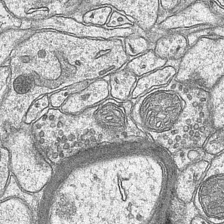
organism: Mouse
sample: CA1 Hippocampus